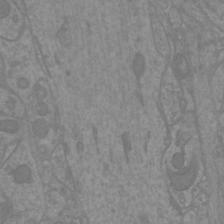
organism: Mouse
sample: Cortical neurons